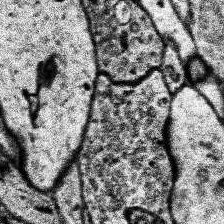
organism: Human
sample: Temporal Lobe